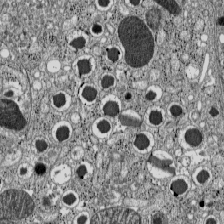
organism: C57BL Mouse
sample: Pancreatic islet